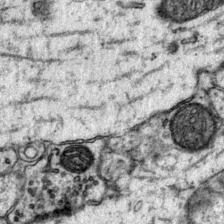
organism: Mouse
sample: Primary visual cortex